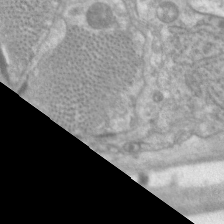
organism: C. elegans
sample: Pharynx